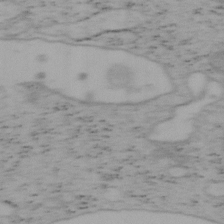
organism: Mouse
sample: OT-I killer T cells with ID8 ovarian cancer cells